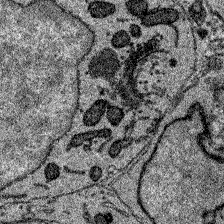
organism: Zebrafish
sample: Larval olfactory bulb